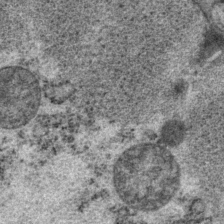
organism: P. pacificus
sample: Pharynx